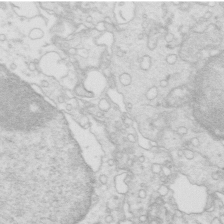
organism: Mouse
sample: Multiciliated cells